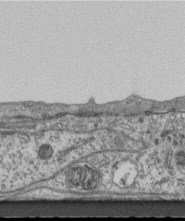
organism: Mouse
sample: Centriole in ependymal cells